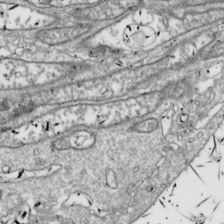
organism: Drosophila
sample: Cell division; meiosis; drosophila spermatocytes